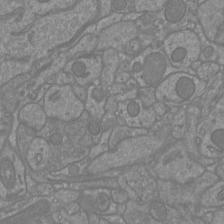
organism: Mouse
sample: Cortical neurons